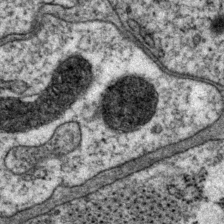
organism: P. pacificus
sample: Pharynx